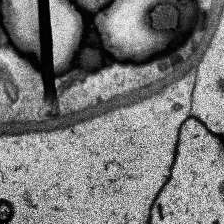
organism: Human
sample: Temporal Lobe